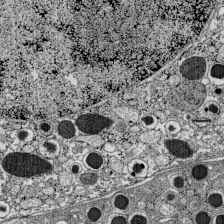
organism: C57BL Mouse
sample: Pancreatic islet